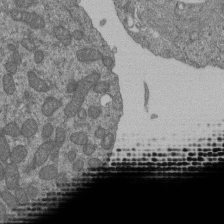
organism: Human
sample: Retinal organoid Rod and Cone cells